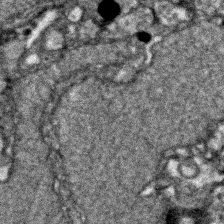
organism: Zebrafish